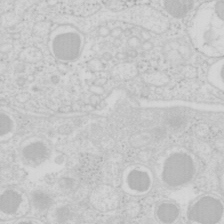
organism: Mouse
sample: Pancreas